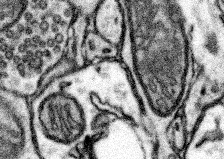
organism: Mouse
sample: Somatosensory cortex neuropil